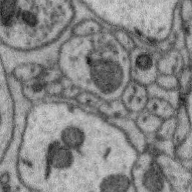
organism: Zebra finch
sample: Brain